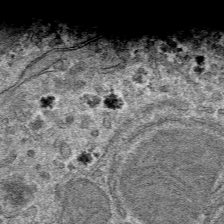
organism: Mouse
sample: Mouse hepatocytes